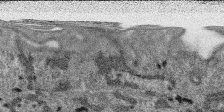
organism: Human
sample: Lung epithelial cells infected with SARS-CoV-2